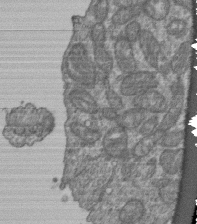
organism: Human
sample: Retinal organoid Rod and Cone cells